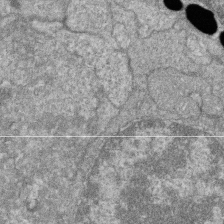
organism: Zebrafish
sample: Cilia; retinal pigment epithelium